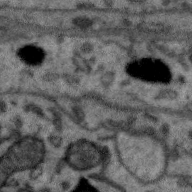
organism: Zebra finch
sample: Brain